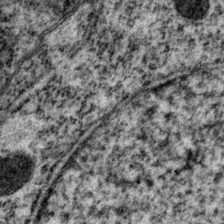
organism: P. pacificus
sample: Pharynx